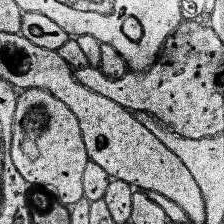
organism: Human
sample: Temporal Lobe